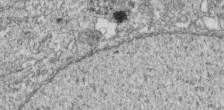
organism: Human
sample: HeLa cell HIV synapse